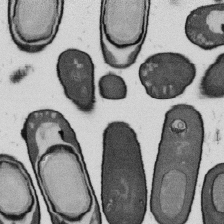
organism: B. subtilis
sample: Bacterial spore